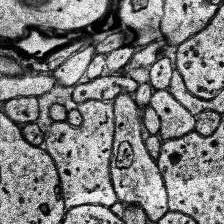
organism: Human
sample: Temporal Lobe